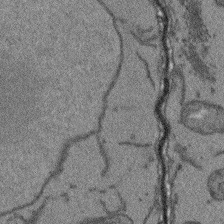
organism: Arabidopsis thaliana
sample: Root tip